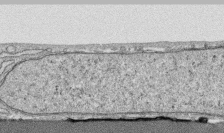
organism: Human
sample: CRL-1474